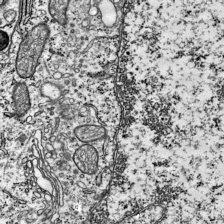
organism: Mouse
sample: Visual Cortex